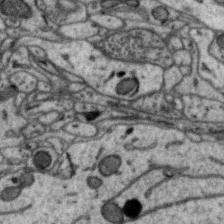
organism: Zebra finch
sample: Brain